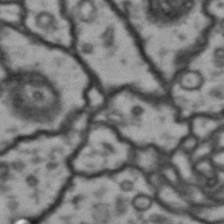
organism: Drosophila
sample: Brain